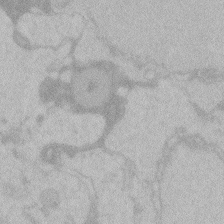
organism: Zebrafish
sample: Macrophage infected with Toxoplasma gondii